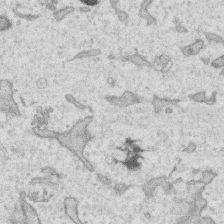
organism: Human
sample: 1205lu cells